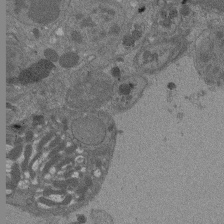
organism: Drosophila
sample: Antenna